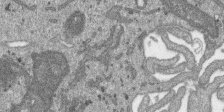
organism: Human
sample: Lung epithelial cells infected with SARS-CoV-2